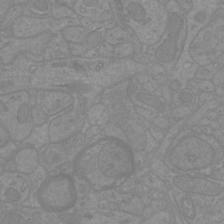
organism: Mouse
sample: Cortical neurons